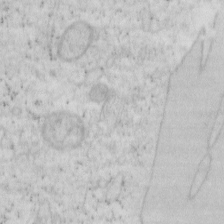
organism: Human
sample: HeLa cells